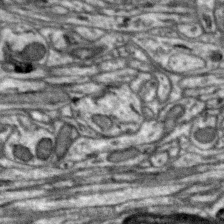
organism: Zebra finch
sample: Brain